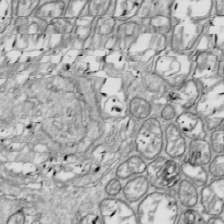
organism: Drosophila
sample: Cell division; meiosis; drosophila spermatocytes